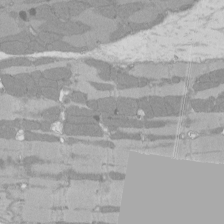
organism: Rat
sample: Left ventricle